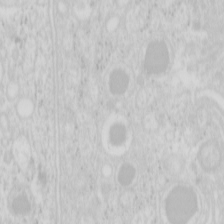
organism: Mouse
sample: Pancreas